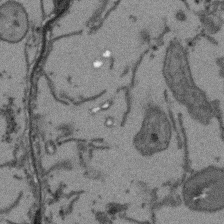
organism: Arabidopsis thaliana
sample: Root tip